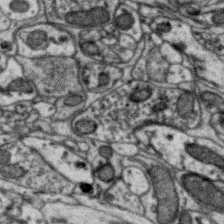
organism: Zebra finch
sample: Brain